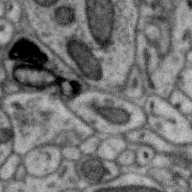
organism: Zebra finch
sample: Brain